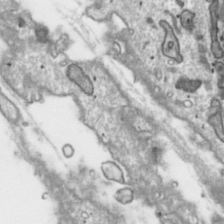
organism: Toxoplasma gondii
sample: Parasites in a vacuole inside a host cell